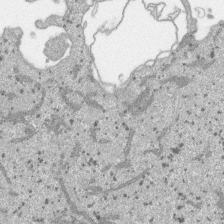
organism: Human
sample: Lung epithelial cells infected with SARS-CoV-2